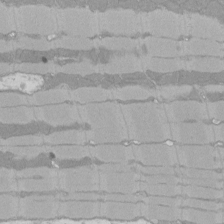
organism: Rat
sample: Left ventricle